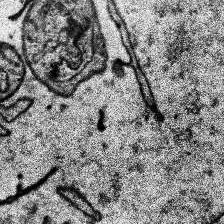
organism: Human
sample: Temporal Lobe